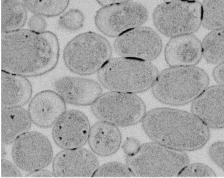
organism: E. coli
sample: Bacterial nucleoid